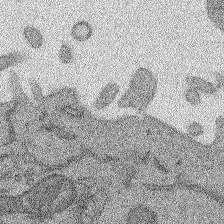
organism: Human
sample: HeLa cells